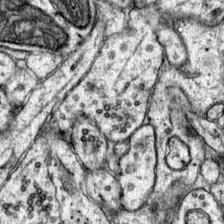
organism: Mouse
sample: Primary visual cortex